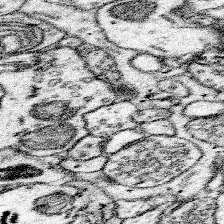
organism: Mouse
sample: Somatosensory cortex neuropil